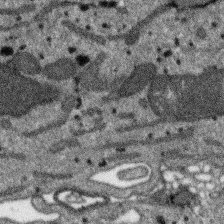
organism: Human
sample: Lung epithelial cells infected with SARS-CoV-2